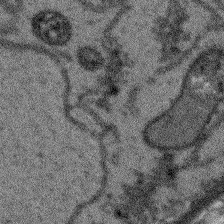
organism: Arabidopsis thaliana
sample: Root tip